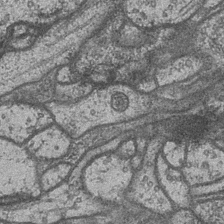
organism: Drosophila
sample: Optic medulla